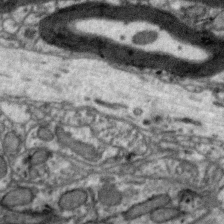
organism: Zebra finch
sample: Brain